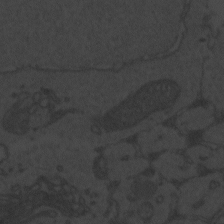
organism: Zebrafish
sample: Macrophage infected with Toxoplasma gondii